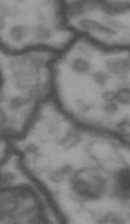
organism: Drosophila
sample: Brain